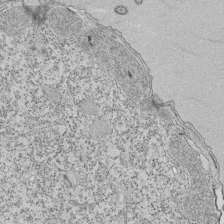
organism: Tetrahymena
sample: Cilia in tetrahymena